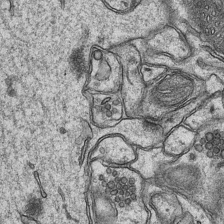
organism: Mouse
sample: CA1 Hippocampus